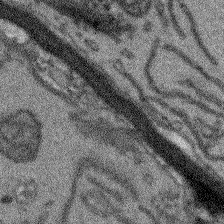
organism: Arabidopsis thaliana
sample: Root tip